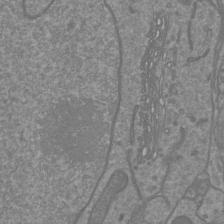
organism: Mouse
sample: Cortical neurons